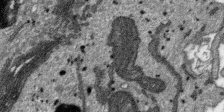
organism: Human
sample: Lung epithelial cells, uninfected (mock) control